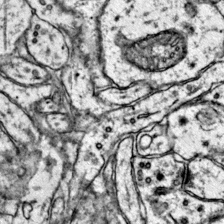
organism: Mouse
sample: Primary visual cortex